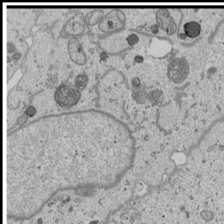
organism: Human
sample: Mitochondria in U2OS cells